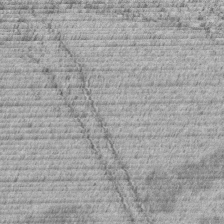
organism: C. elegans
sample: C. elegans embryo early stage